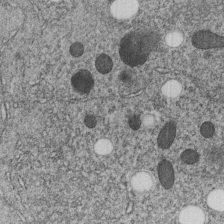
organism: C. elegans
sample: C. elegans embryo early stage